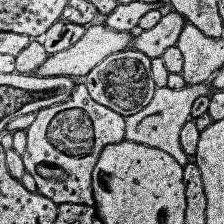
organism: Human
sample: Temporal Lobe